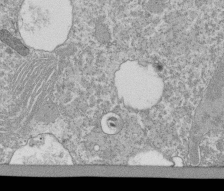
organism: Tetrahymena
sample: Cilia in tetrahymena